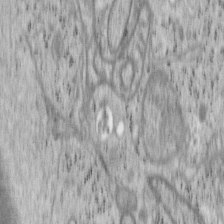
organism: Human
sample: HeLa cells